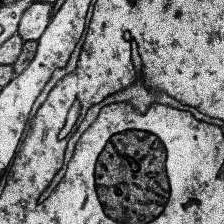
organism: Human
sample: Temporal Lobe